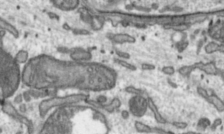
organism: Toxoplasma gondii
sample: Parasites in a vacuole inside a host cell